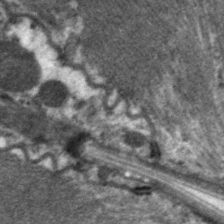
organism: C. elegans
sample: Pharynx